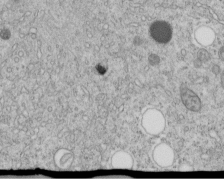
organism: C. elegans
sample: C. elegans embryo early stage